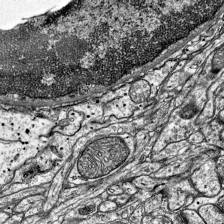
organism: Mouse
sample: Visual Cortex